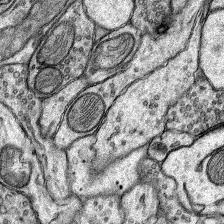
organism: Rat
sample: Hippocampus